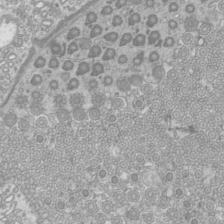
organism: Mouse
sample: Cilia; mouse epididymis